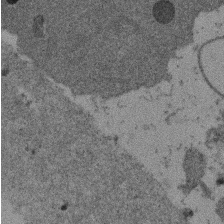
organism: Mouse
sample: Dividing mouse embryo 1 cell stage